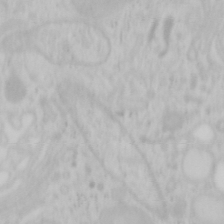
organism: Mouse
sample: OT-I killer T cells with ID8 ovarian cancer cells